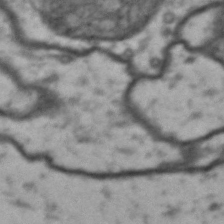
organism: Drosophila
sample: Brain